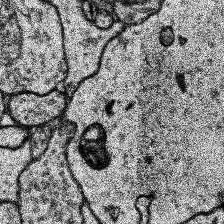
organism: Human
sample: Temporal Lobe